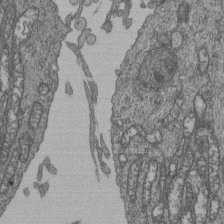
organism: Human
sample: Retinal organoid Rod and Cone cells